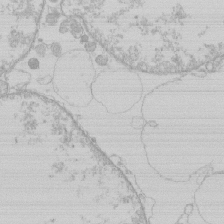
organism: Human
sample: Macrophage cells